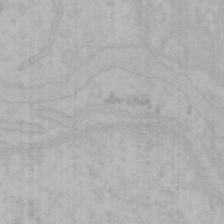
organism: Mouse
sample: Choroid plexus